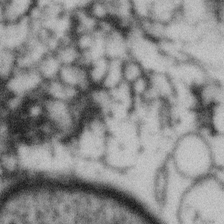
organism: Gemmata obscuriglobus